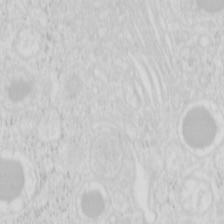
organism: Mouse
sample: Pancreas